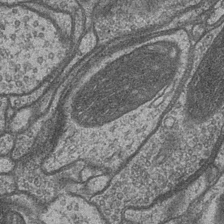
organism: Drosophila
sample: Optic medulla